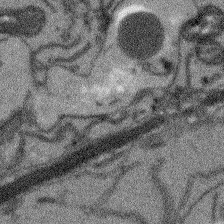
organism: Arabidopsis thaliana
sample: Root tip